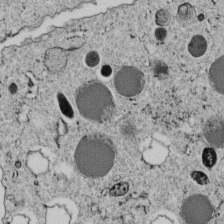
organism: C. elegans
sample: C. elegans embryo early stage